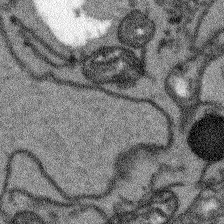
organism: Arabidopsis thaliana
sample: Root tip